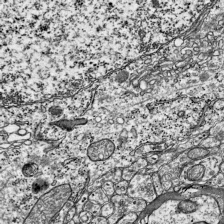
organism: Mouse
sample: Visual Cortex